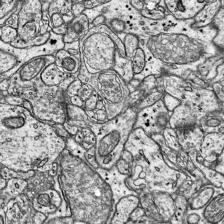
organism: Mouse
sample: Visual Cortex